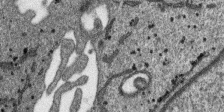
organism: Human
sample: Lung epithelial cells infected with SARS-CoV-2